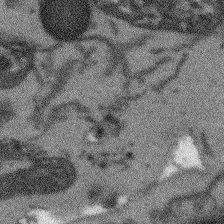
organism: Arabidopsis thaliana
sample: Root tip